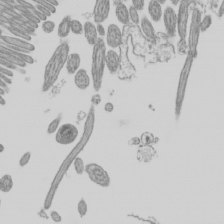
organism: Mouse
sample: Cilia; mouse epididymis